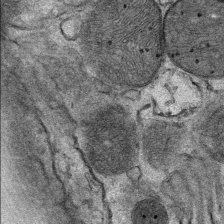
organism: Mouse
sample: Mouse Salivary gland